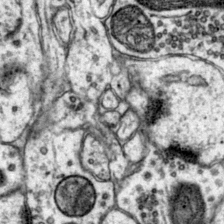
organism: Mouse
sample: Primary visual cortex